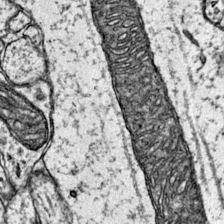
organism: Mouse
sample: Primary visual cortex